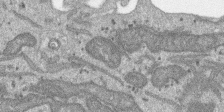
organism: Human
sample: Lung epithelial cells infected with SARS-CoV-2